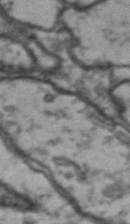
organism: Drosophila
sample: Brain